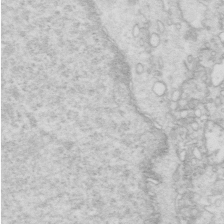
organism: Mouse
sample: Multiciliated cells